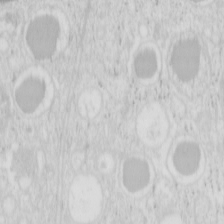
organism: Mouse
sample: Pancreas